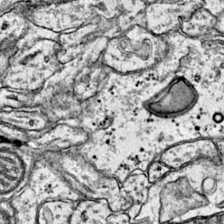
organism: Mouse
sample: Primary visual cortex